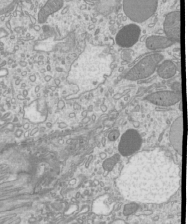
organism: Mouse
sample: Cilia; mouse epididymis